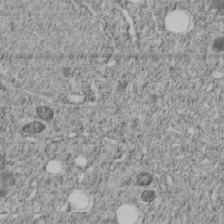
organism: C. elegans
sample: C. elegans embryo early stage